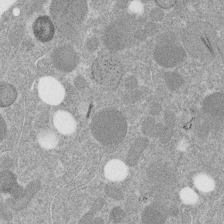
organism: C. elegans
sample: C. elegans embryo early stage